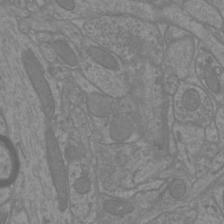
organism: Mouse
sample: Cortical neurons